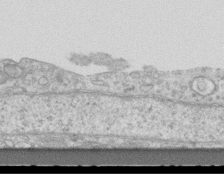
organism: Mouse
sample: Centriole in ependymal cells